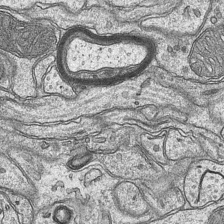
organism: Mouse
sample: CA1 Hippocampus